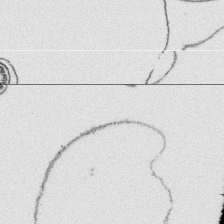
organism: Platynereis dumerilii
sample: Parapodia